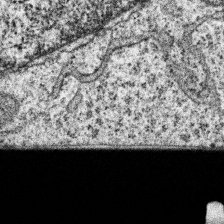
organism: Human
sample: HeLa cells